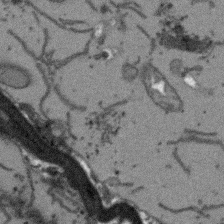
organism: Arabidopsis thaliana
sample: Root tip